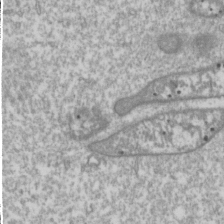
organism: Drosophila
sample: Cell division; meiosis; drosophila spermatocytes